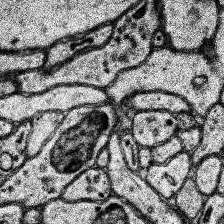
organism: Human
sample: Temporal Lobe